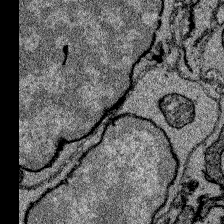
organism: Zebrafish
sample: Larval olfactory bulb